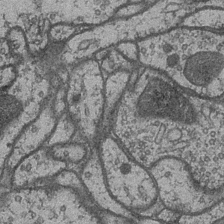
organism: Drosophila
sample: Optic medulla